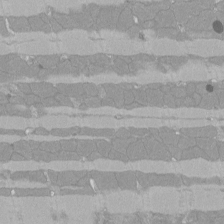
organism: Rat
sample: Left ventricle